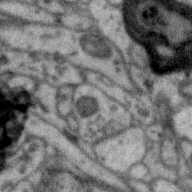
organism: Zebra finch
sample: Brain